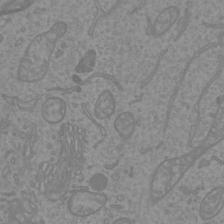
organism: Mouse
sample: Cortical neurons